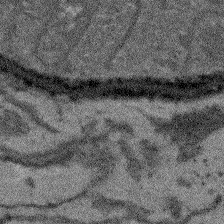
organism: Arabidopsis thaliana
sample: Root tip